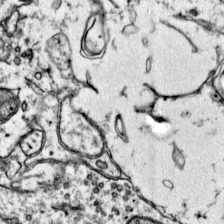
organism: Mouse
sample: Primary visual cortex